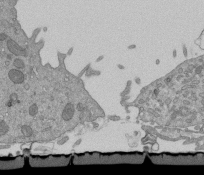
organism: Mouse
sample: ED-1 cell nuclei; centrioles